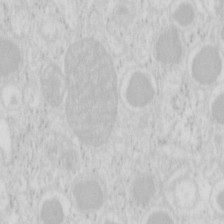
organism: Mouse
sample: Pancreas